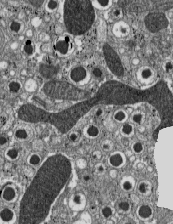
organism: C57BL Mouse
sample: Pancreatic islet